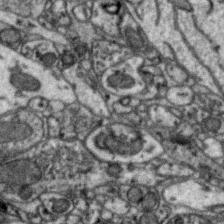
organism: Zebra finch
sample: Brain